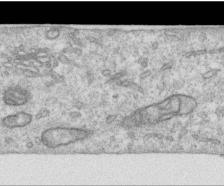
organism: Human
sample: Centriole in RPE cells